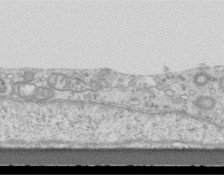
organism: Mouse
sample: Centriole in ependymal cells